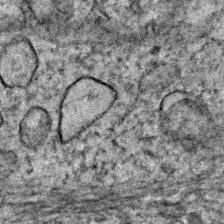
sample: Trachea